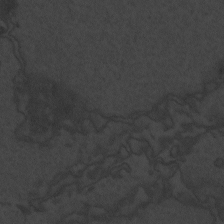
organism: Zebrafish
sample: Macrophage infected with Toxoplasma gondii